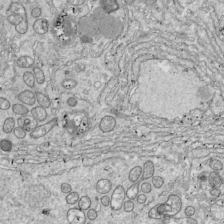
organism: Drosophila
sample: Cell division; meiosis; drosophila spermatocytes